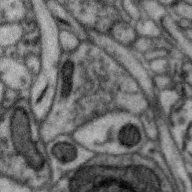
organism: Zebra finch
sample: Brain